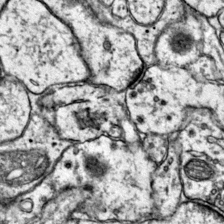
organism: Mouse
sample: Primary visual cortex